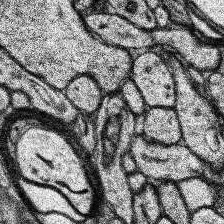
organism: Human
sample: Temporal Lobe